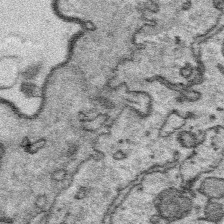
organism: Platynereis dumerilii